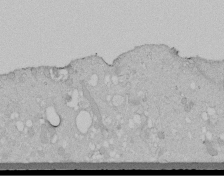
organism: Human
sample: Melanocyte Keratinocyte synapse skin construct